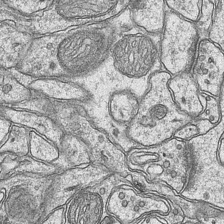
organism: Mouse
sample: CA1 Hippocampus